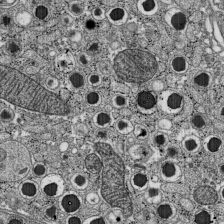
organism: C57BL Mouse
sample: Pancreatic islet